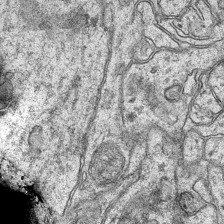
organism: Mouse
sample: CA1 Hippocampus